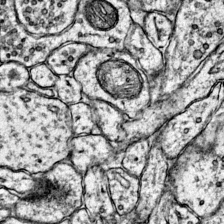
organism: Mouse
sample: Primary visual cortex